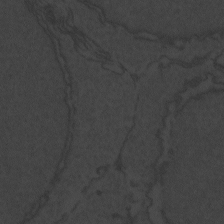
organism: Zebrafish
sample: Macrophage infected with Toxoplasma gondii